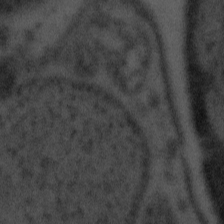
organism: Tuwongella immobilis